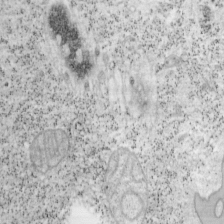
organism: Mouse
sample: OT-I killer T cells with ID8 ovarian cancer cells